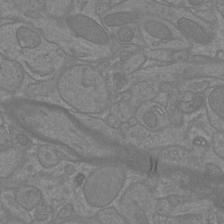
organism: Mouse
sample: Cortical neurons